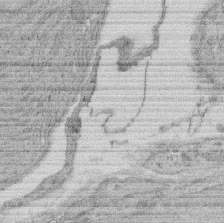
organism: Rat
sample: Salivary granule